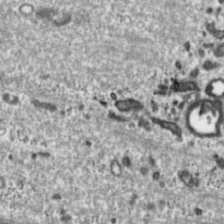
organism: Toxoplasma gondii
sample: Parasites in a vacuole inside a host cell